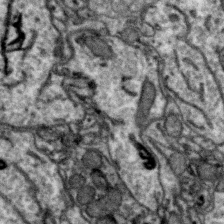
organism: Zebra finch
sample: Brain